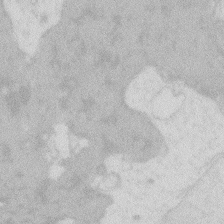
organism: Zebrafish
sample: Macrophage